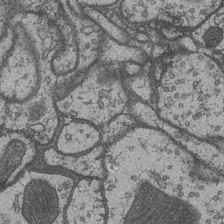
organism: Drosophila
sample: Optic medulla